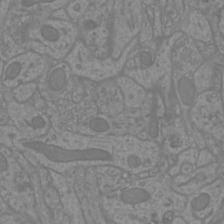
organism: Mouse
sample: Cortical neurons